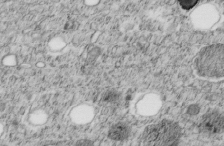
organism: C. elegans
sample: C. elegans embryo early stage